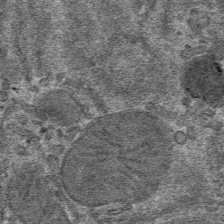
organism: Mouse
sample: Mouse hepatocytes